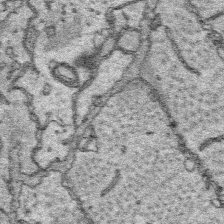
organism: Platynereis dumerilii